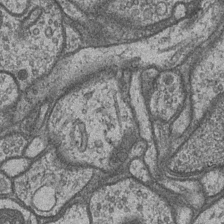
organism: Drosophila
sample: Optic medulla